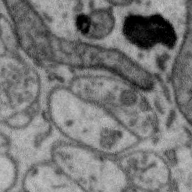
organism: Zebra finch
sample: Brain